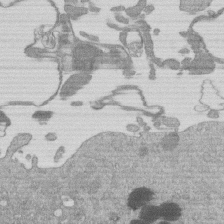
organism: Mouse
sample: Dividing mouse embryo 1 cell stage